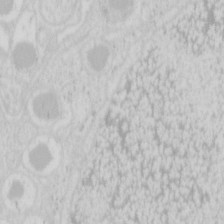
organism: Mouse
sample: Pancreas